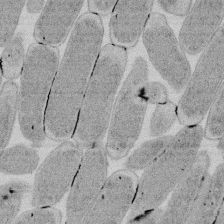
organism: E. coli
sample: Bacterial nucleoid